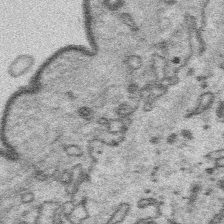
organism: Platynereis dumerilii